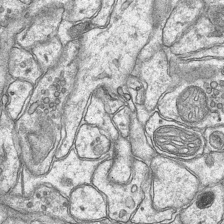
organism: Mouse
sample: CA1 Hippocampus